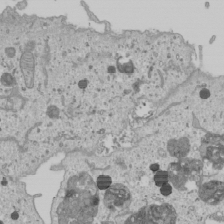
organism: Human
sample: Mitochondria in U2OS cells